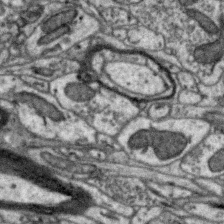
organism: Zebra finch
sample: Brain